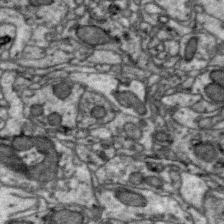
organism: Zebra finch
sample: Brain